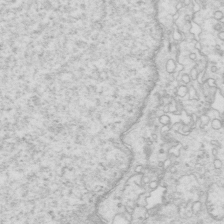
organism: Mouse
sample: Multiciliated cells